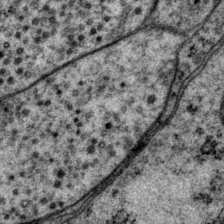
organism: P. pacificus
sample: Pharynx